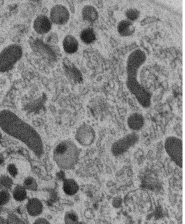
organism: C. elegans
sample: C. elegans oocyte; sperm cells